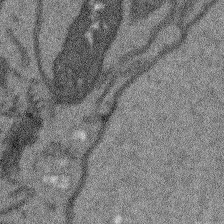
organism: Arabidopsis thaliana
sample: Root tip